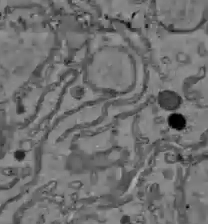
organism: C57BL Mouse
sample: Liver